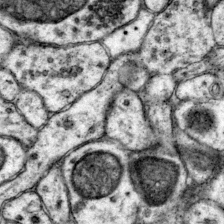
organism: Mouse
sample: Primary visual cortex